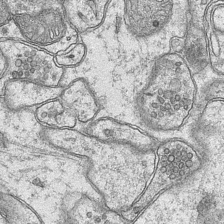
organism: Mouse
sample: CA1 Hippocampus